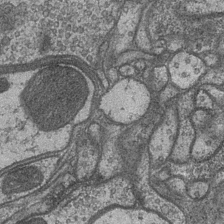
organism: Drosophila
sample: Optic medulla